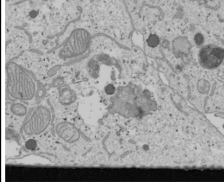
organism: Human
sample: Mitochondria in U2OS cells